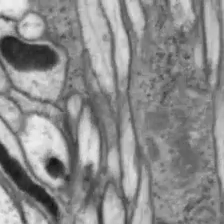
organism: Drosophila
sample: Optic lobe